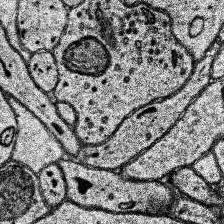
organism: Human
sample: Temporal Lobe